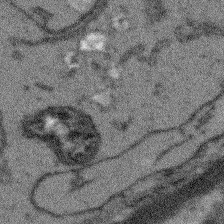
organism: Arabidopsis thaliana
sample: Root tip